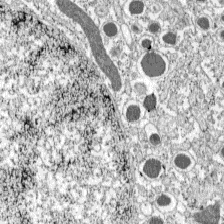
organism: C57BL Mouse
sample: Pancreatic islet